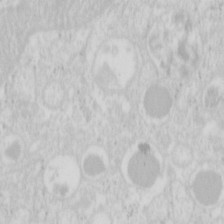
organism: Mouse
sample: Pancreas